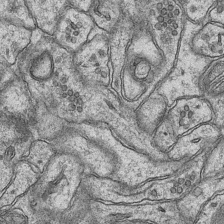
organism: Mouse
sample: CA1 Hippocampus